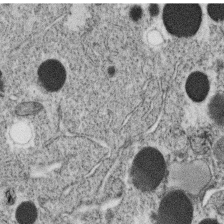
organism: C. elegans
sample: C. elegans oocyte; sperm cells